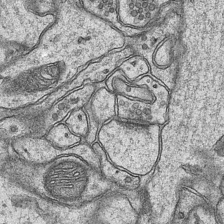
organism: Mouse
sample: CA1 Hippocampus